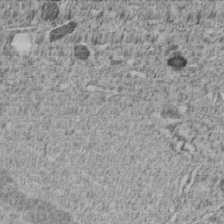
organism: C. elegans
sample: C. elegans embryo early stage